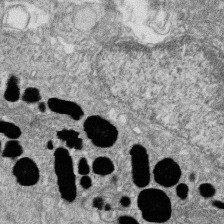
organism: Zebrafish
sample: Cilia; retinal pigment epithelium